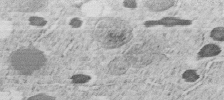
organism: C. elegans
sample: C. elegans embryo early stage